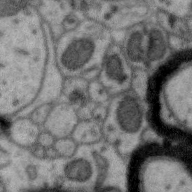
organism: Zebra finch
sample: Brain